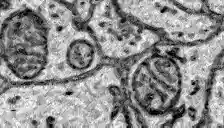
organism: Zebrafish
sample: Brain